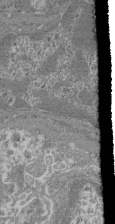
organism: Mouse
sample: Glomerulus